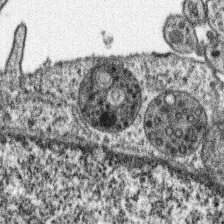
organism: Human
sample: HeLa cells